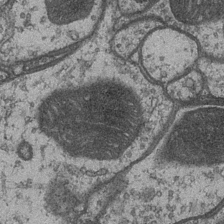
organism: Drosophila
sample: Optic medulla